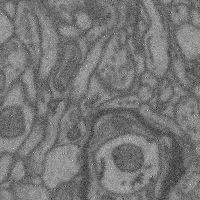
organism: Mouse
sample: Cerebral cortex